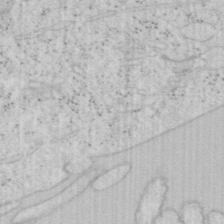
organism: Human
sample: HeLa cells